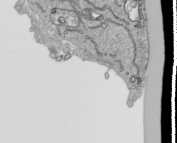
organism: Human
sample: Mitochondria in HCT116 cells